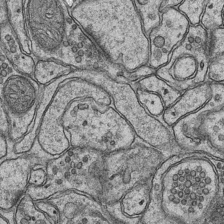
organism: Mouse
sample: CA1 Hippocampus